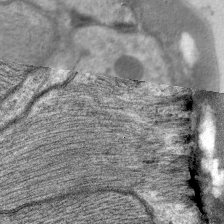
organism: C. elegans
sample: Pharynx